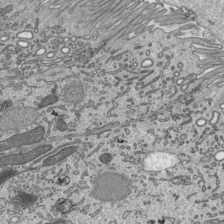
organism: Mouse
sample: Mouse epididymis efferent ductule cilia